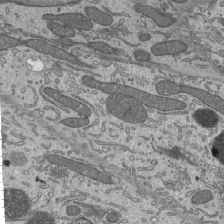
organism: Mouse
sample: Mouse epididymis efferent ductule cilia